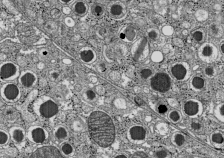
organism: C57BL Mouse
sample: Pancreatic islet